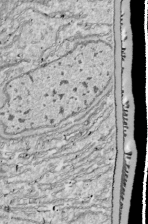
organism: Drosophila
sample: Cell division; meiosis; drosophila spermatocytes